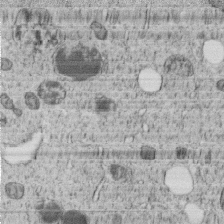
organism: C. elegans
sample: C. elegans embryo early stage